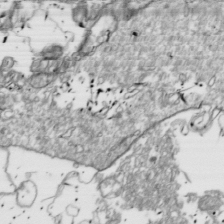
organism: Drosophila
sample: Cell division; meiosis; drosophila spermatocytes